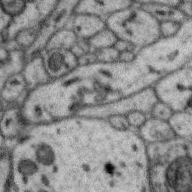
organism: Zebra finch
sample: Brain